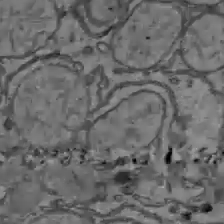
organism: C57BL Mouse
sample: Liver